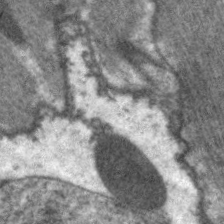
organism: C. elegans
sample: Pharynx